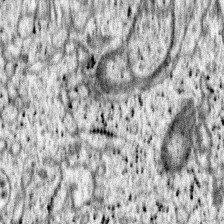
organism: Human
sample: HeLa cells